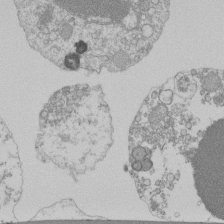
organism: Mouse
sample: Activated Pmel transgenic CD8+ T Cells